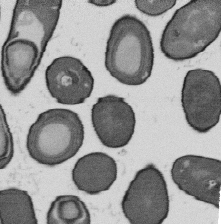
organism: B. subtilis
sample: Bacterial spore